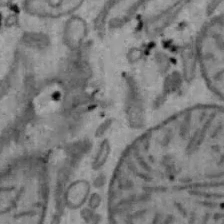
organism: Mouse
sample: Liver